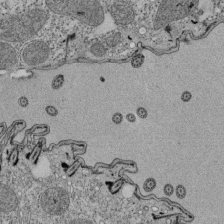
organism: Tetrahymena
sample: Cilia in tetrahymena